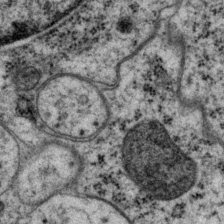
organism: P. pacificus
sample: Pharynx